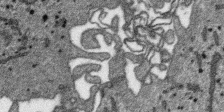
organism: Human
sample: Lung epithelial cells infected with SARS-CoV-2